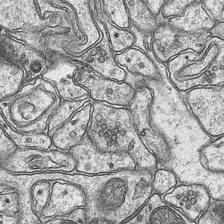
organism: Mouse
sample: CA1 Hippocampus